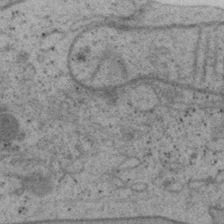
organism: Human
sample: HeLa cells